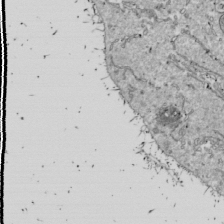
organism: Drosophila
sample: Cell division; meiosis; drosophila spermatocytes